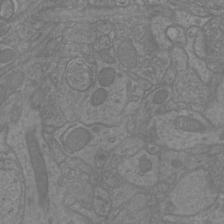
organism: Mouse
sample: Cortical neurons